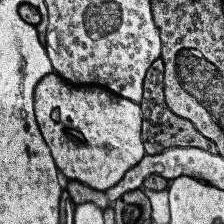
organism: Human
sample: Temporal Lobe